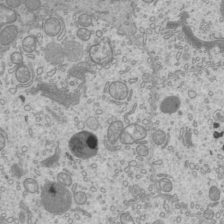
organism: Mouse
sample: Cilia; mouse epididymis